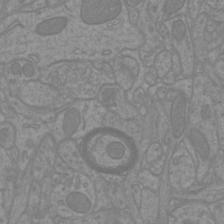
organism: Mouse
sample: Cortical neurons